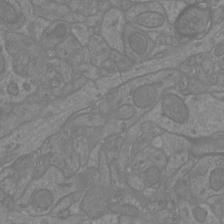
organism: Mouse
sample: Cortical neurons